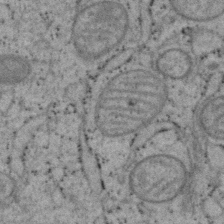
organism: Human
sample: HeLa cells